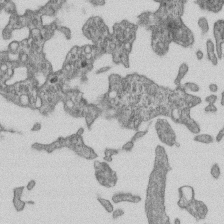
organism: Mouse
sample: Centriole in ependymal cells